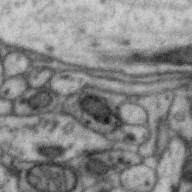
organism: Zebra finch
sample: Brain